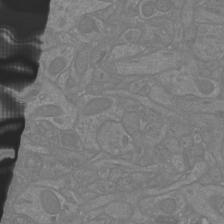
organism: Mouse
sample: Cortical neurons